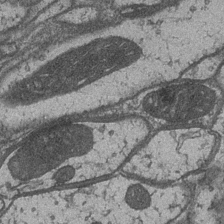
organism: Drosophila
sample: Optic medulla